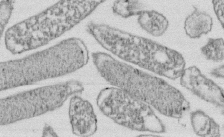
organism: E. coli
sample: Bacterial nucleoid